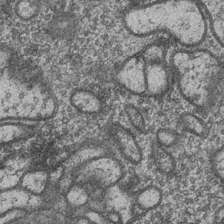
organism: Drosophila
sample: Optic medulla